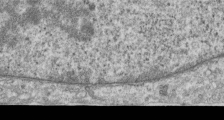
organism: Human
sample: Centriole in RPE cells